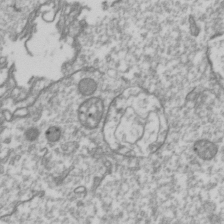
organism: Drosophila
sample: Cell division; meiosis; drosophila spermatocytes